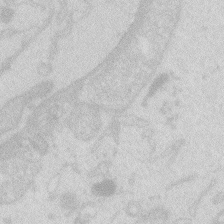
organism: Zebrafish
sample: Macrophage